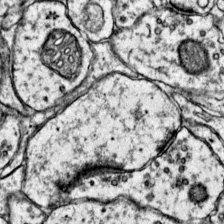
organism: Mouse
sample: Primary visual cortex